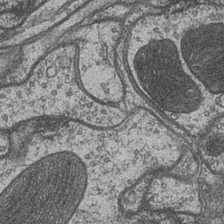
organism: Drosophila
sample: Optic medulla